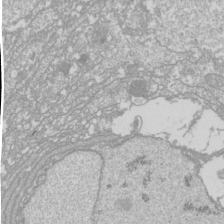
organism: Drosophila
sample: Cell division; meiosis; drosophila spermatocytes